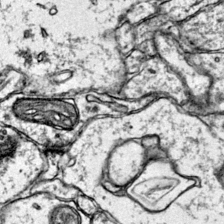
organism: Mouse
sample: Primary visual cortex